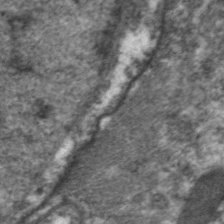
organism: C. elegans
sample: Pharynx